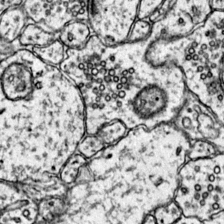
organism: Mouse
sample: Primary visual cortex